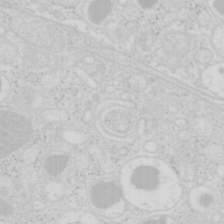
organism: Mouse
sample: Pancreas